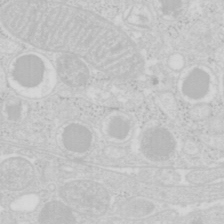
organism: Mouse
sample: Pancreas